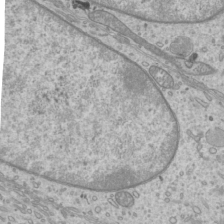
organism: Mouse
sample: Cilia; mouse epididymis